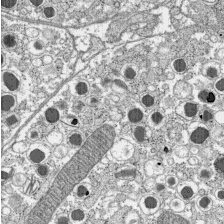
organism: C57BL Mouse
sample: Pancreatic islet